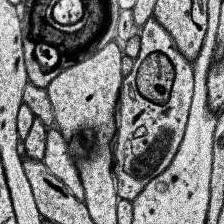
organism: Human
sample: Temporal Lobe